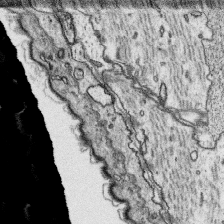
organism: Platynereis dumerilii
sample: Parapodia